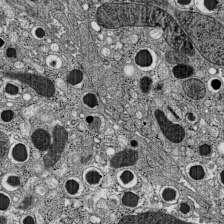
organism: C57BL Mouse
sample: Pancreatic islet